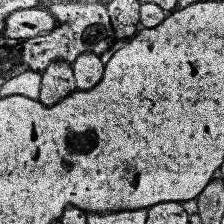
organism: Human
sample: Temporal Lobe